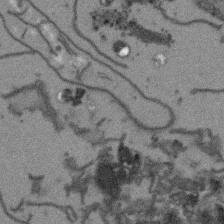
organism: Arabidopsis thaliana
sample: Root tip